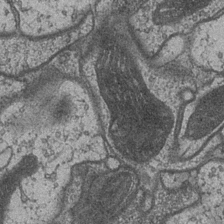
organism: Drosophila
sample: Optic medulla